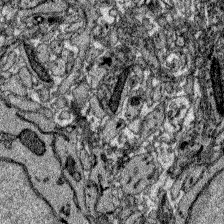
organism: Zebrafish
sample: Larval olfactory bulb